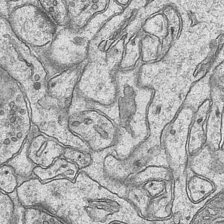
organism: Mouse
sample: CA1 Hippocampus